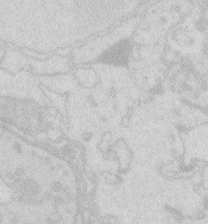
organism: Zebrafish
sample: Macrophage